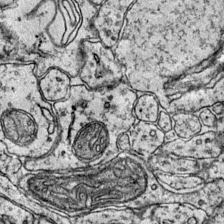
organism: Mouse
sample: Primary visual cortex